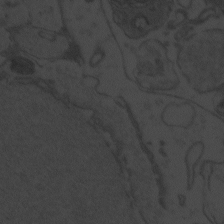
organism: Zebrafish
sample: Macrophage infected with Toxoplasma gondii